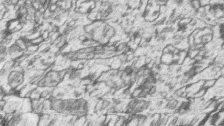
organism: Zebrafish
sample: synaptic ribbons in rod cells and cone cells